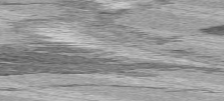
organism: C57BL Mouse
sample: Heart